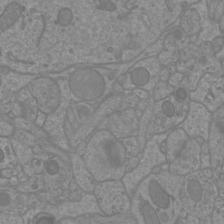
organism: Mouse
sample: Cortical neurons